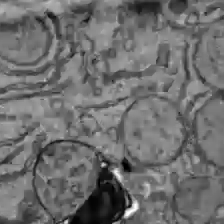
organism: C57BL Mouse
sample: Liver